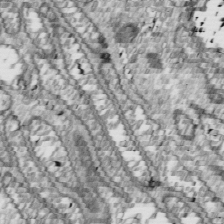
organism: Drosophila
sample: Cell division; meiosis; drosophila spermatocytes